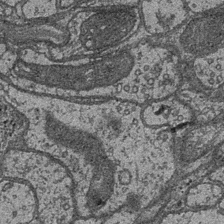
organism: Drosophila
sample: Optic medulla